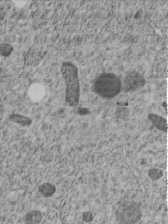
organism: C. elegans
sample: C. elegans embryo early stage